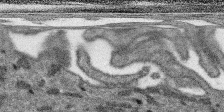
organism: Human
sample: Lung epithelial cells infected with SARS-CoV-2